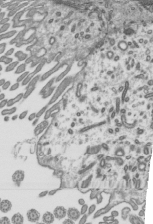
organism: Mouse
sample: Mouse epididymis efferent ductule cilia